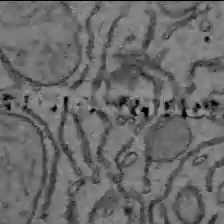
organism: C57BL Mouse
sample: Liver